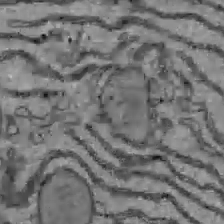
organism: C57BL Mouse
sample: Liver